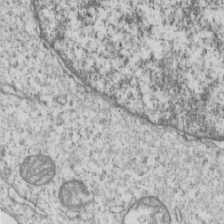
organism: Human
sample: MDA-MB-231 cells